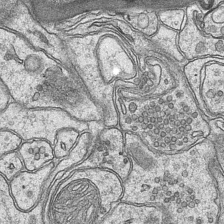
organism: Mouse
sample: CA1 Hippocampus